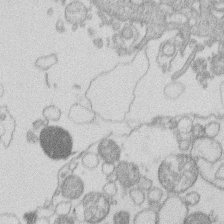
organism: Human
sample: Macrophage cells